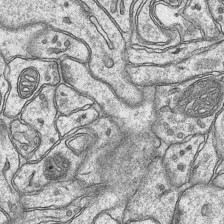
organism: Mouse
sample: CA1 Hippocampus